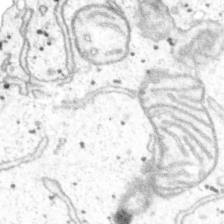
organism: Human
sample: HeLa cells